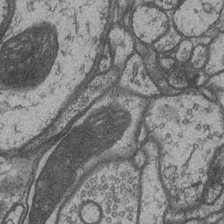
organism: Drosophila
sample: Optic medulla